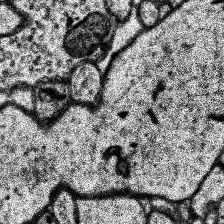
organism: Human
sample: Temporal Lobe